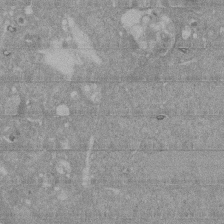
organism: Mouse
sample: ED-1 cell nuclei; centrioles